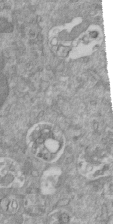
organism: Mouse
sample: ED-1 cell nuclei; centrioles